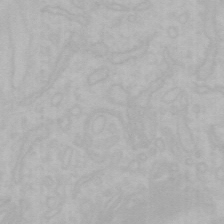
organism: Mouse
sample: Choroid plexus